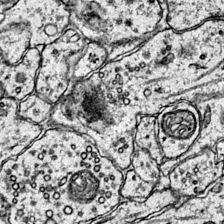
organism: Mouse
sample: Primary visual cortex